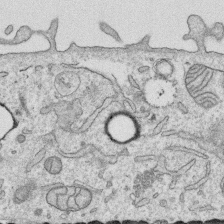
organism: Human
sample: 1205lu cells